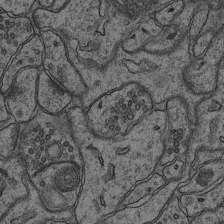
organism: Mouse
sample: CA1 Hippocampus